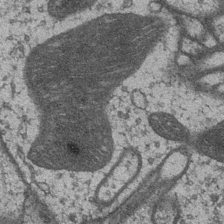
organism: Drosophila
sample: Optic medulla